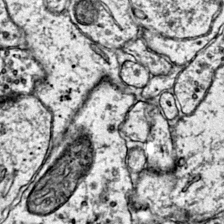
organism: Mouse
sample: Primary visual cortex